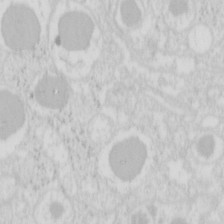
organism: Mouse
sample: Pancreas